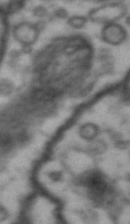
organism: Drosophila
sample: Brain